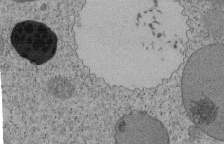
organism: Tetrahymena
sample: Cilia in tetrahymena